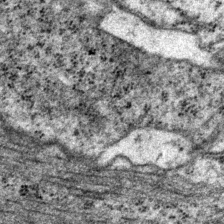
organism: P. pacificus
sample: Pharynx